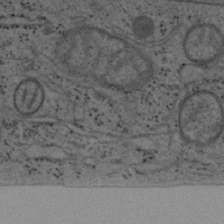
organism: Human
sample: HeLa cells